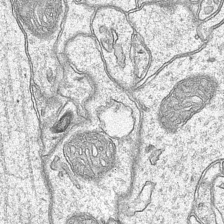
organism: Mouse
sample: CA1 Hippocampus